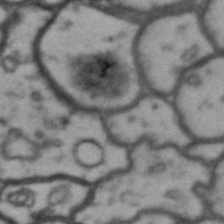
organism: Drosophila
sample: Brain